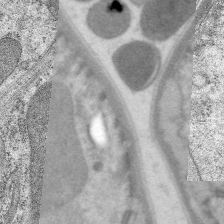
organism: C. elegans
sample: Pharynx